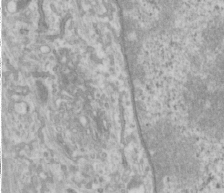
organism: Human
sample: Cilia; basal body in RPE cells